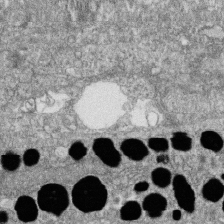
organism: Zebrafish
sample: Cilia; retinal pigment epithelium